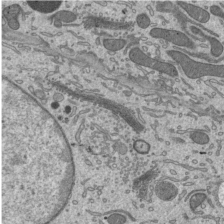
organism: Mouse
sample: Mouse epididymis efferent ductule cilia